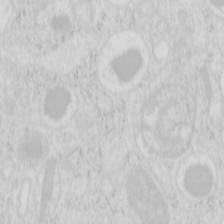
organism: Mouse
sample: Pancreas